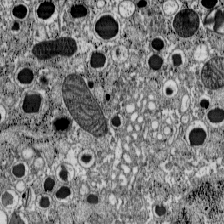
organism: C57BL Mouse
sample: Pancreatic islet